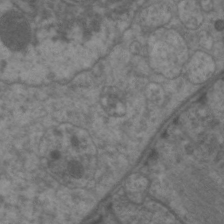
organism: C. elegans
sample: Pharynx